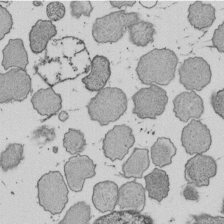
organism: E. coli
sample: Bacterial nucleoid